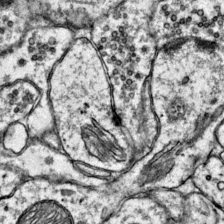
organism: Mouse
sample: Primary visual cortex